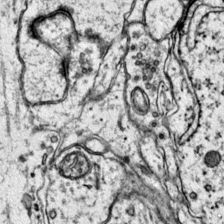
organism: Mouse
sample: Primary visual cortex